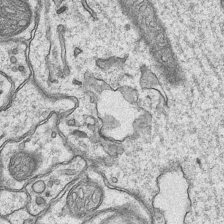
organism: Mouse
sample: CA1 Hippocampus